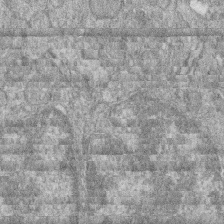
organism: Zebrafish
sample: Cilia; retinal pigment epithelium